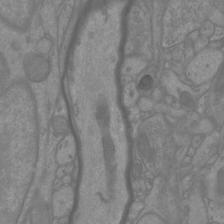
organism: Mouse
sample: Cortical neurons